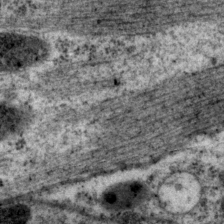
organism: P. pacificus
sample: Pharynx